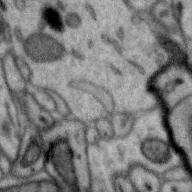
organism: Zebra finch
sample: Brain